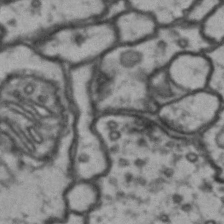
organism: Drosophila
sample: Brain